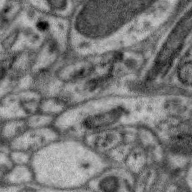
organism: Zebra finch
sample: Brain